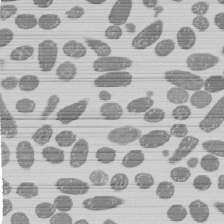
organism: E. coli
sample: Bacterial nucleoid